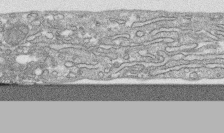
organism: Human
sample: CRL-1474